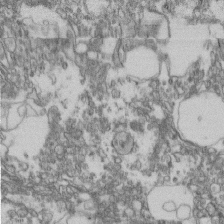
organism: Mouse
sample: Cilia; retinal pigment epithelium